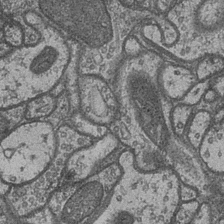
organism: Drosophila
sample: Optic medulla